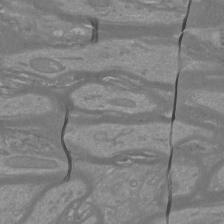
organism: Mouse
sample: Cortical neurons